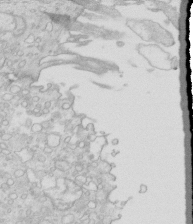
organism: Mouse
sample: Multiciliated cells